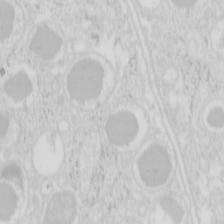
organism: Mouse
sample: Pancreas